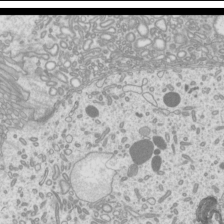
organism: Mouse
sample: Cilia; mouse epididymis